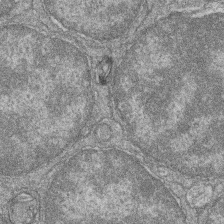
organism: Zebrafish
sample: Cilia; retinal pigment epithelium